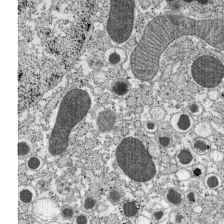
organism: C57BL Mouse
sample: Pancreatic islet